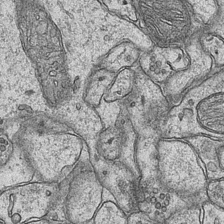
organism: Mouse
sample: CA1 Hippocampus